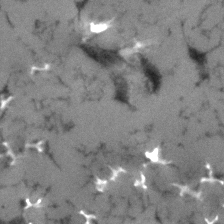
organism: Human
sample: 1205lu cells